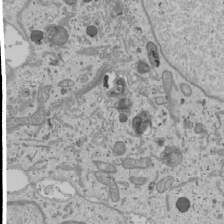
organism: Human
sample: Mitochondria in U2OS cells